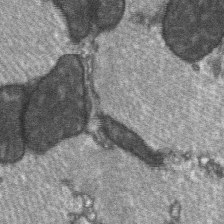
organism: C57BL Mouse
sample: Soleus